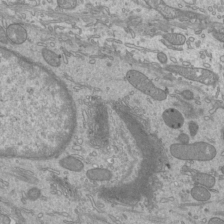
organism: Mouse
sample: Cilia; mouse epididymis